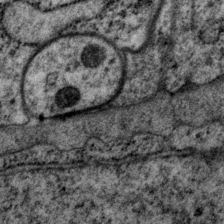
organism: P. pacificus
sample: Pharynx